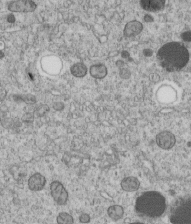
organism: C. elegans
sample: C. elegans embryo early stage